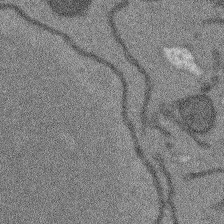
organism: Arabidopsis thaliana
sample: Root tip